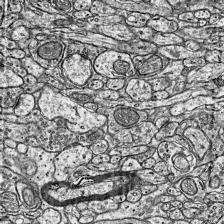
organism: Mouse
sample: Visual Cortex